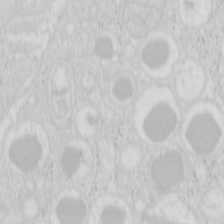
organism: Mouse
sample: Pancreas